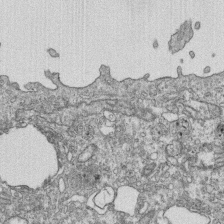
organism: Human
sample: HeLa cell HIV synapse